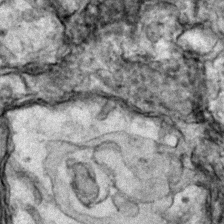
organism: Zebrafish